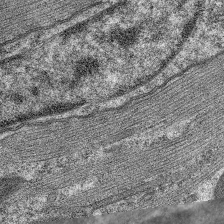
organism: C. elegans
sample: Pharynx